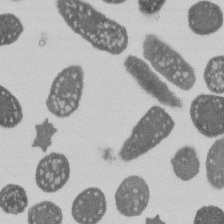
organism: E. coli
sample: Bacterial nucleoid